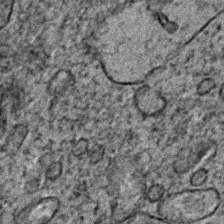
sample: Trachea